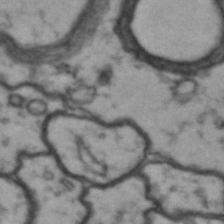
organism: Drosophila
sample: Brain